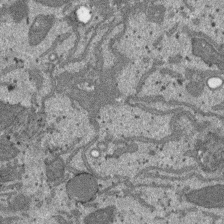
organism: Human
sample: Lung epithelial cells infected with SARS-CoV-2